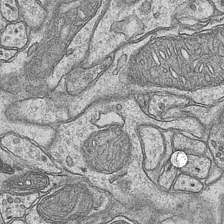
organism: Mouse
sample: CA1 Hippocampus